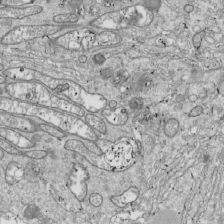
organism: Drosophila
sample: Cell division; meiosis; drosophila spermatocytes